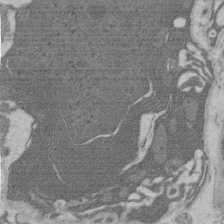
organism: Rat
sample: Salivary granule